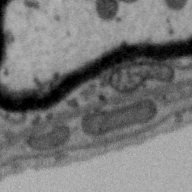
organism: Zebra finch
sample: Brain